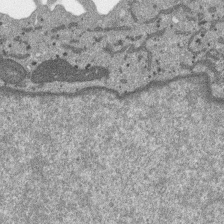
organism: Human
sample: Lung epithelial cells infected with SARS-CoV-2